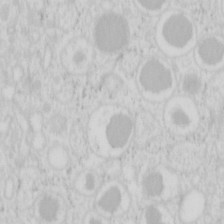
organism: Mouse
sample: Pancreas